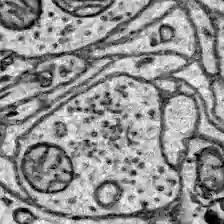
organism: Zebrafish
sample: Brain